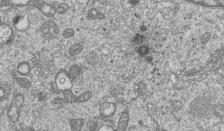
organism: Human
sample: MDA-MB-231 cells